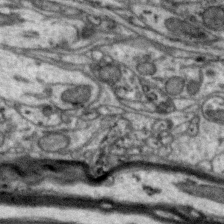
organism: Zebra finch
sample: Brain